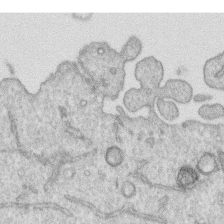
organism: Human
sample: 1205lu cells